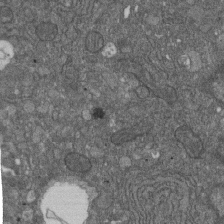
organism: Drosophila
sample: Nephrocyte